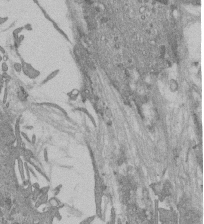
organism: Mouse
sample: ED-1 cell nuclei; centrioles